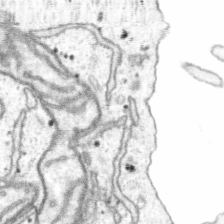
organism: Human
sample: HeLa cells